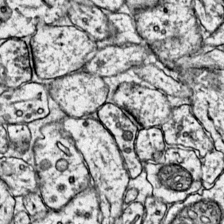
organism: Mouse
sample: Primary visual cortex